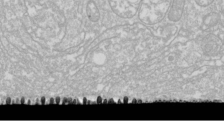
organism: Drosophila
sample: Cell division; meiosis; drosophila spermatocytes